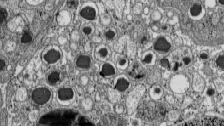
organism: C57BL Mouse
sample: Pancreatic islet